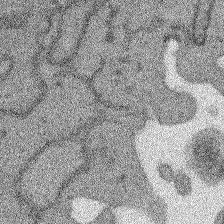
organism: Human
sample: HeLa cells